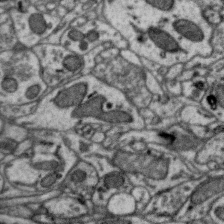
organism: Zebra finch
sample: Brain